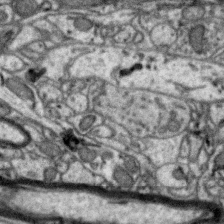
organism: Zebra finch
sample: Brain